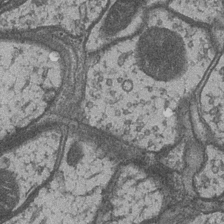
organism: Drosophila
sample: Optic medulla